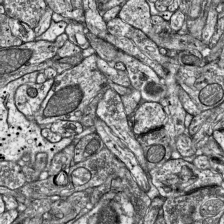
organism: Mouse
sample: Visual Cortex